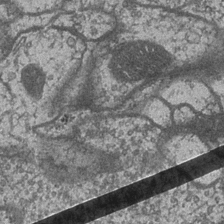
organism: Drosophila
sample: Optic medulla